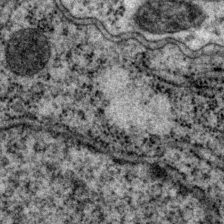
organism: P. pacificus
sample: Pharynx